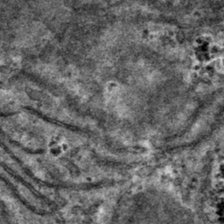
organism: Mouse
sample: Mouse hepatocytes